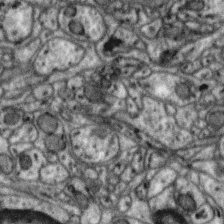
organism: Zebra finch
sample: Brain